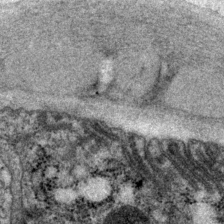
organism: P. pacificus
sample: Pharynx